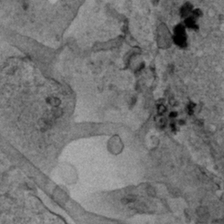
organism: Human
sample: Mitochondria in HCT116 cells